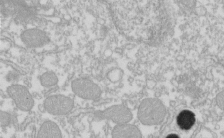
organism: Xenopus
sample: Cilia; centrioles in frog embryo cells